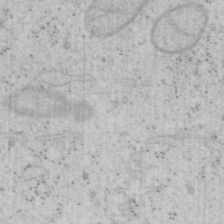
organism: Human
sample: HeLa cells